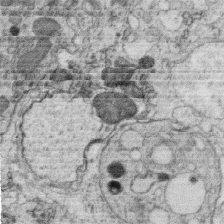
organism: C. elegans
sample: C. elegans oocyte; sperm cells